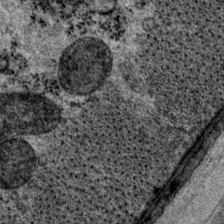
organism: P. pacificus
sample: Pharynx